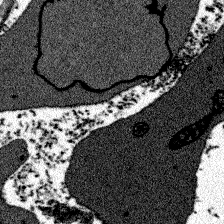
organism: Zebrafish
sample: Larval olfactory bulb